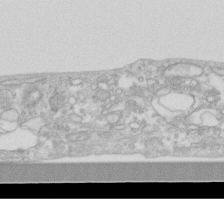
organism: Human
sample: Fibroblast cells